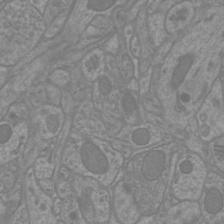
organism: Mouse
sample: Cortical neurons